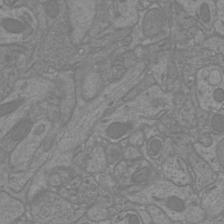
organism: Mouse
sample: Cortical neurons